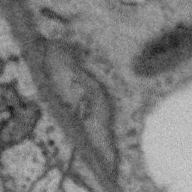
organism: Zebra finch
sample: Brain